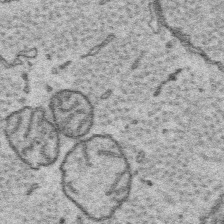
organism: Platynereis dumerilii